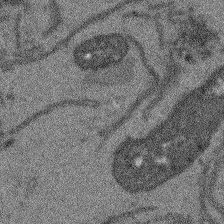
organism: Arabidopsis thaliana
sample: Root tip